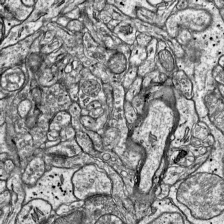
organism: Mouse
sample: Visual Cortex